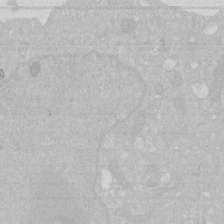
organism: Human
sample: HIV infected U937 cells